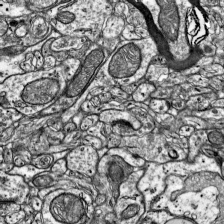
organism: Mouse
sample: Visual Cortex